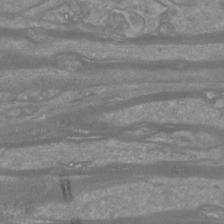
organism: Mouse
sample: Cortical neurons